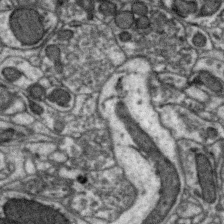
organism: Zebra finch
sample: Brain